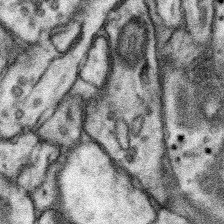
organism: Mouse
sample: Somatosensory cortex neuropil